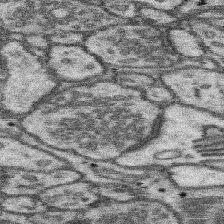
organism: Mouse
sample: Somatosensory cortex neuropil